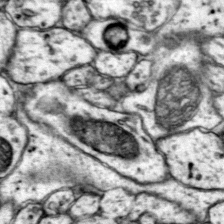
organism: Mouse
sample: Primary visual cortex